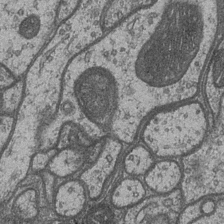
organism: Drosophila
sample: Optic medulla